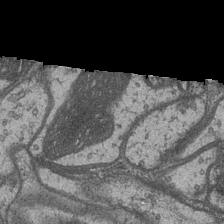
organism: Drosophila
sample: Optic medulla